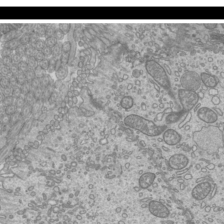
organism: Mouse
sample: Cilia; mouse epididymis